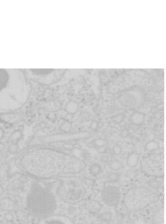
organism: Mouse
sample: Pancreas